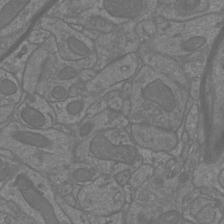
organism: Mouse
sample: Cortical neurons